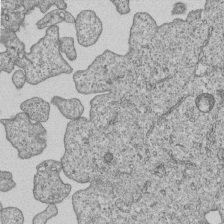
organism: Human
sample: MDA-MB-231 cells